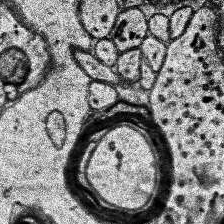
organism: Human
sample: Temporal Lobe